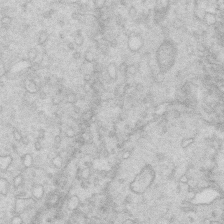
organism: Mouse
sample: Multiciliated cells